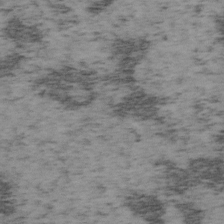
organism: Mouse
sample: OT-I killer T cells with ID8 ovarian cancer cells